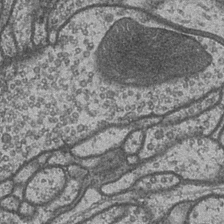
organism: Drosophila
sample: Optic medulla